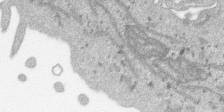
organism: Human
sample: Lung epithelial cells infected with SARS-CoV-2